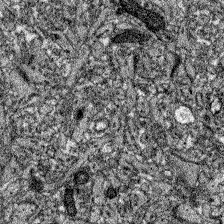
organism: Zebrafish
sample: Larval olfactory bulb